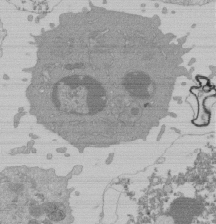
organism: Mouse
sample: Activated Pmel transgenic CD8+ T Cells